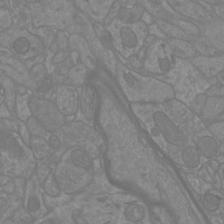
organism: Mouse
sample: Cortical neurons